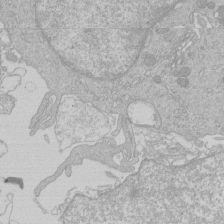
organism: Human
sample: Macrophage cells